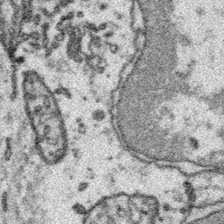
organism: Platynereis dumerilii